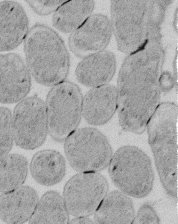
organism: E. coli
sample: Bacterial nucleoid